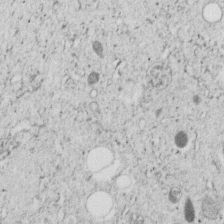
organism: C. elegans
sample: C. elegans embryo early stage